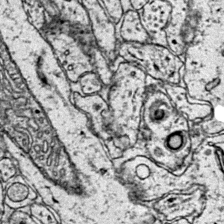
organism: Mouse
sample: Primary visual cortex